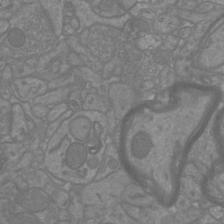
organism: Mouse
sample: Cortical neurons